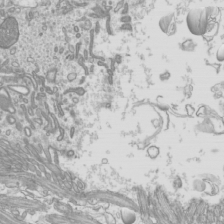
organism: Mouse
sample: Cilia; mouse epididymis